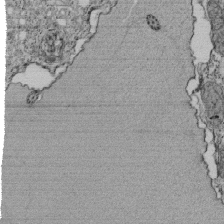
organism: Tetrahymena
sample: Cilia in tetrahymena